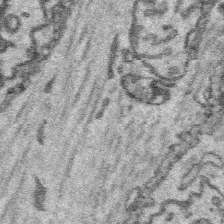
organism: Platynereis dumerilii